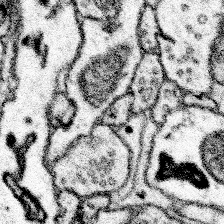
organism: Mouse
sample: Somatosensory cortex neuropil